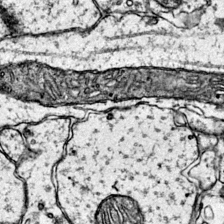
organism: Mouse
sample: Primary visual cortex